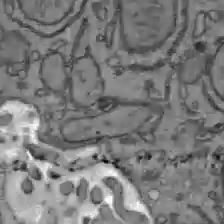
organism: C57BL Mouse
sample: Liver